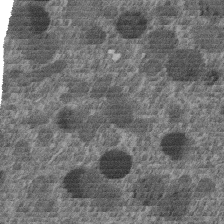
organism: C. elegans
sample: C. elegans embryo early stage